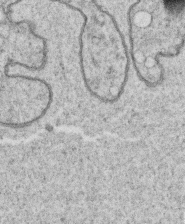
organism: C. elegans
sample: C. elegans oocyte; sperm cells